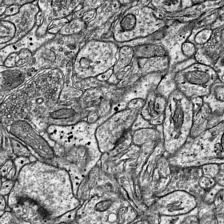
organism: Mouse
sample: Visual Cortex